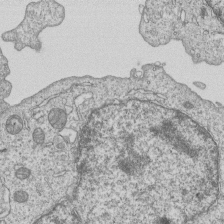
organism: Human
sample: MDA-MB-231 cells